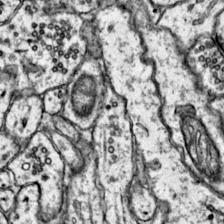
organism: Mouse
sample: Primary visual cortex